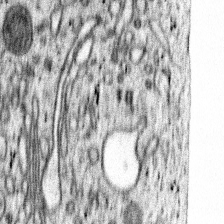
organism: Human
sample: HeLa cells